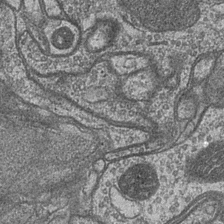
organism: Drosophila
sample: Optic medulla